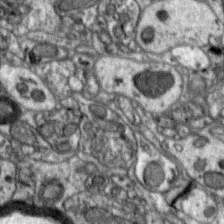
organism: Zebra finch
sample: Brain